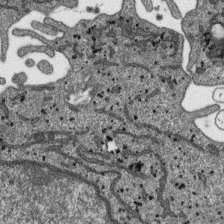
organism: Human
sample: Lung epithelial cells infected with SARS-CoV-2